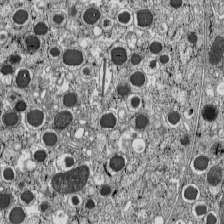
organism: C57BL Mouse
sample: Pancreatic islet